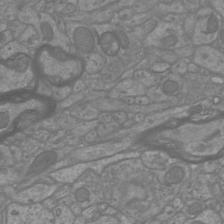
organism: Mouse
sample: Cortical neurons